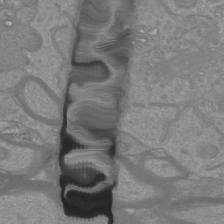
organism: Mouse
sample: Cortical neurons